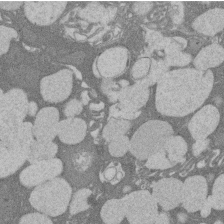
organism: Rat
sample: Salivary granule